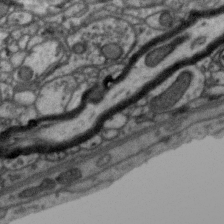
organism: Zebra finch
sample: Brain